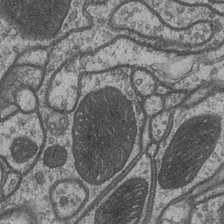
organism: Drosophila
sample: Optic medulla